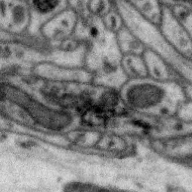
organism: Zebra finch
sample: Brain